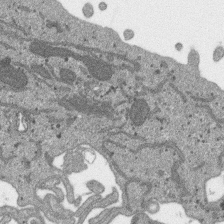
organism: Human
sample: Lung epithelial cells infected with SARS-CoV-2